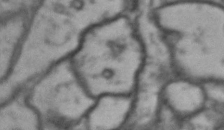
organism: Drosophila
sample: Brain